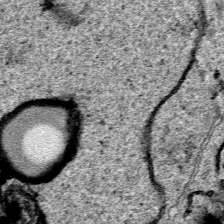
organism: Human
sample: Mitochondria in HCT116 cells